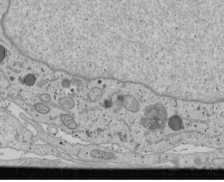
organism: Human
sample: Mitochondria in U2OS cells